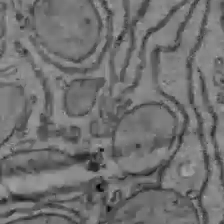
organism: C57BL Mouse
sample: Liver